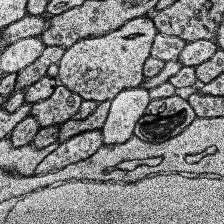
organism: Human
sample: Temporal Lobe